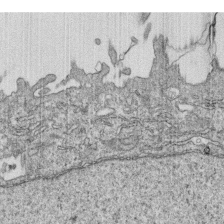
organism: Human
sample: HeLa cell HIV synapse